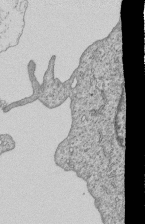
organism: Human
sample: MDA-MB-231 cells